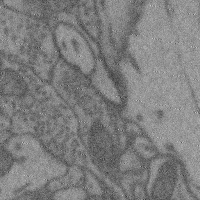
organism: Mouse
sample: Cerebral cortex